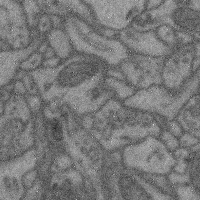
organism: Mouse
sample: Cerebral cortex